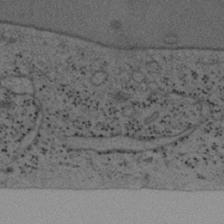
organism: Human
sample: HeLa cells